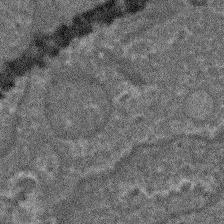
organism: Arabidopsis thaliana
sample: Root tip